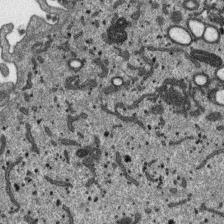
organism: Human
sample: Lung epithelial cells infected with SARS-CoV-2